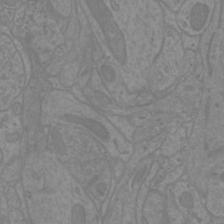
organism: Mouse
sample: Cortical neurons